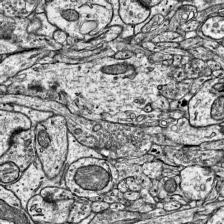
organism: Mouse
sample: Visual Cortex